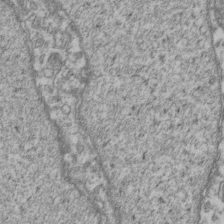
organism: Human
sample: Activated Jurkat CD4+ T cells